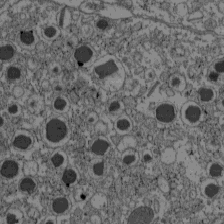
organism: C57BL Mouse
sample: Pancreatic islet